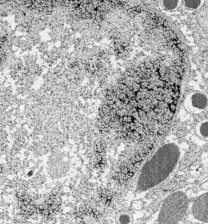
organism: C57BL Mouse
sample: Pancreatic islet